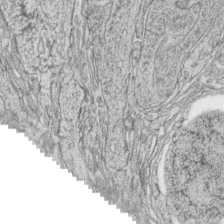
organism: Zebrafish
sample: synaptic ribbons in rod cells and cone cells